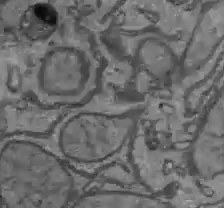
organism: C57BL Mouse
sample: Liver